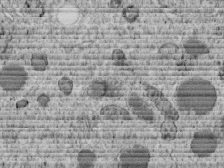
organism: C. elegans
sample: C. elegans embryo early stage